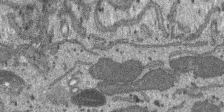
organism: Human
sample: Lung epithelial cells infected with SARS-CoV-2